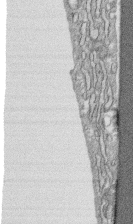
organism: Human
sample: CRL-1474